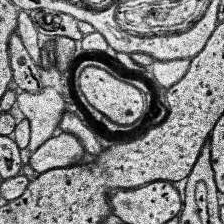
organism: Human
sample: Temporal Lobe